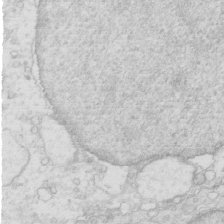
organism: Mouse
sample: Multiciliated cells